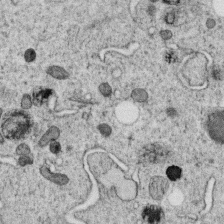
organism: C. elegans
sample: C. elegans oocyte; sperm cells